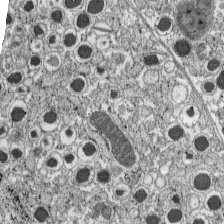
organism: C57BL Mouse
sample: Pancreatic islet